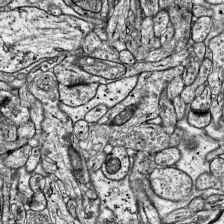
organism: Mouse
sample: Visual Cortex